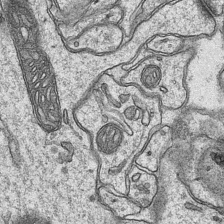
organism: Mouse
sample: CA1 Hippocampus